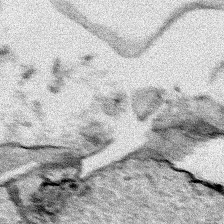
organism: Human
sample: Mitochondria in HCT116 cells